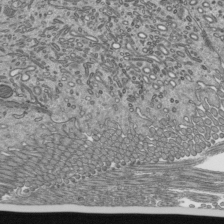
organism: Mouse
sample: Mouse epididymis efferent ductule cilia